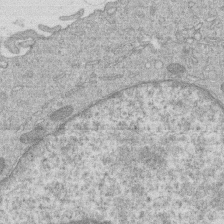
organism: Human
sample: Macrophage cells